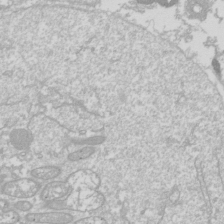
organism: Drosophila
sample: Cell division; meiosis; drosophila spermatocytes